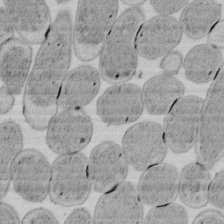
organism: E. coli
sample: Bacterial nucleoid